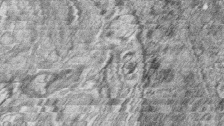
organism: Zebrafish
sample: synaptic ribbons in rod cells and cone cells